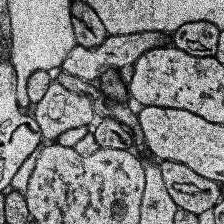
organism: Human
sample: Temporal Lobe